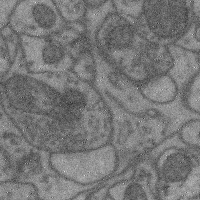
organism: Mouse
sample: Cerebral cortex